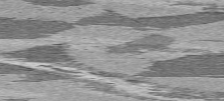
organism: C57BL Mouse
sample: Heart